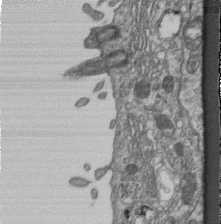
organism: Mouse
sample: Centriole in ependymal cells